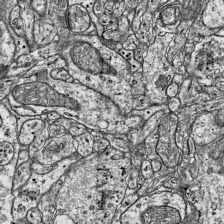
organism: Mouse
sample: Visual Cortex